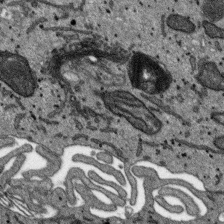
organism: Human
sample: Lung epithelial cells, uninfected (mock) control